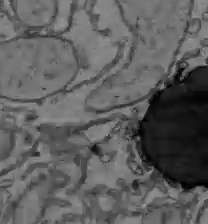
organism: C57BL Mouse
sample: Liver